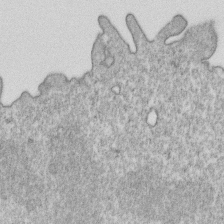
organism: Mouse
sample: Activated OT-1 CD8+ T cells